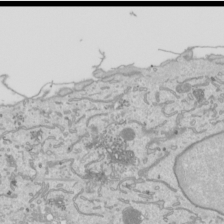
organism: Human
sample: Mitochondria in HCT116 cells